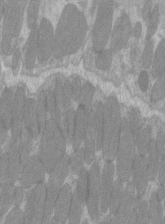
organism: C57BL Mouse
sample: Tibialis anterior muscle cell